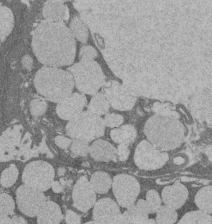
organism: Rat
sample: Salivary granule